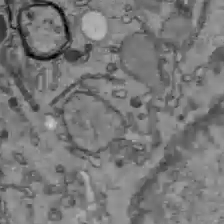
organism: C57BL Mouse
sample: Liver